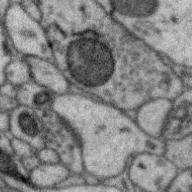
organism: Zebra finch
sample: Brain